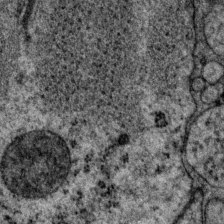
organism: P. pacificus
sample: Pharynx